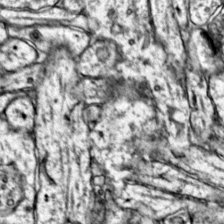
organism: Mouse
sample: Primary visual cortex